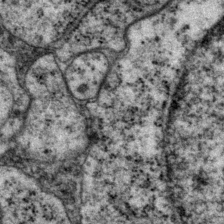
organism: P. pacificus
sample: Pharynx